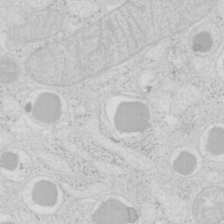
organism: Mouse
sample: Pancreas